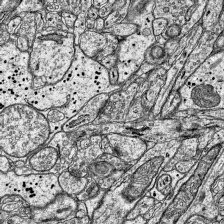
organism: Mouse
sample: Visual Cortex